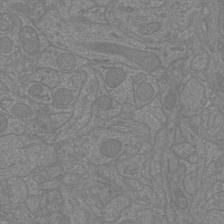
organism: Mouse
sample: Cortical neurons